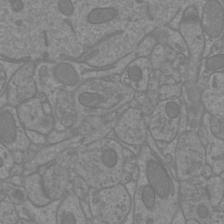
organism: Mouse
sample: Cortical neurons